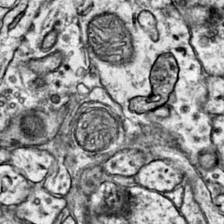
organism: Mouse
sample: Primary visual cortex